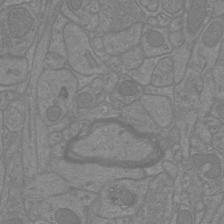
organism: Mouse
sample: Cortical neurons